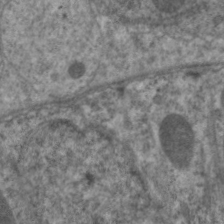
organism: C. elegans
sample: Pharynx